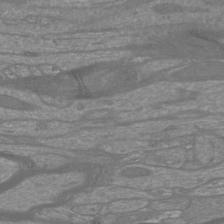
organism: Mouse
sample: Cortical neurons